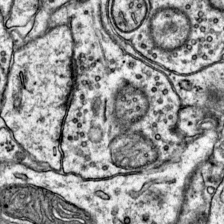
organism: Mouse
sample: Primary visual cortex